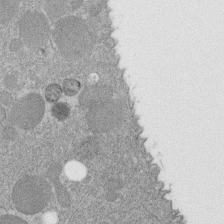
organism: C. elegans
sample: C. elegans embryo early stage